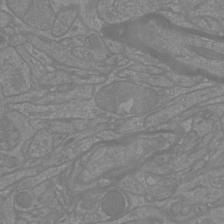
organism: Mouse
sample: Cortical neurons